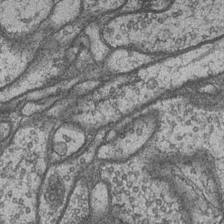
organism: Drosophila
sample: Optic medulla